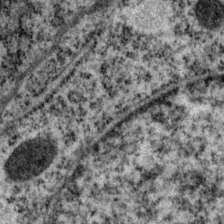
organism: P. pacificus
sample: Pharynx